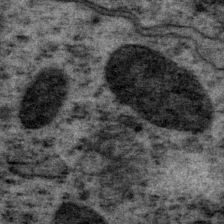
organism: P. pacificus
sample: Pharynx